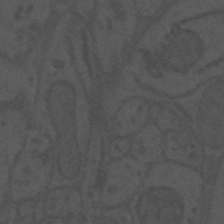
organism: Mouse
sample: Suprachiasmatic nucleus